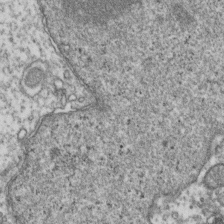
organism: Human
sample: Activated Jurkat CD4+ T cells